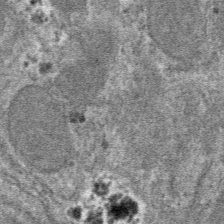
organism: Mouse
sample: Mouse hepatocytes